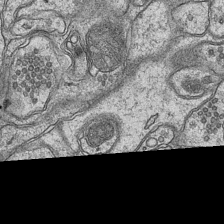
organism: Mouse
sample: CA1 Hippocampus